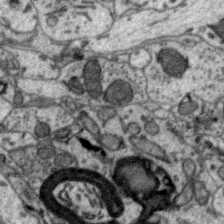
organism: Zebra finch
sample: Brain